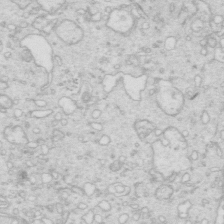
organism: Mouse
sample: Multiciliated cells